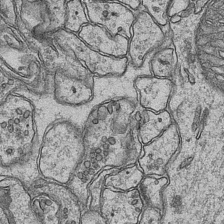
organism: Mouse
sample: CA1 Hippocampus